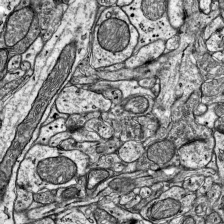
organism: Mouse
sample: Visual Cortex